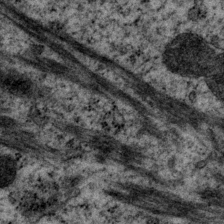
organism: P. pacificus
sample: Pharynx